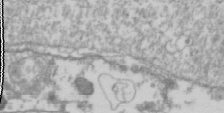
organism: Drosophila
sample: Cell division; meiosis; drosophila spermatocytes